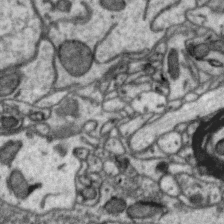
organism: Zebra finch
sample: Brain